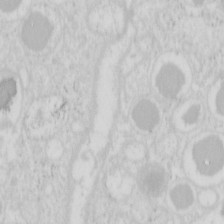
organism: Mouse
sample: Pancreas